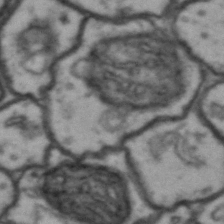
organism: Drosophila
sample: Brain